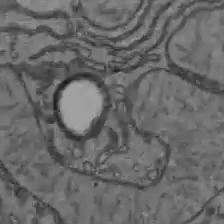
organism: C57BL Mouse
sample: Liver